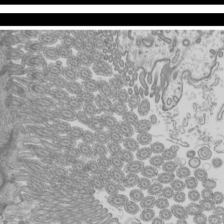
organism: Mouse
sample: Cilia; mouse epididymis